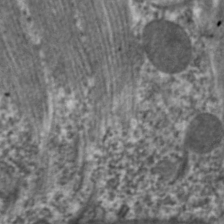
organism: C. elegans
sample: Pharynx